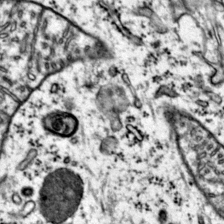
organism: Mouse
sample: Primary visual cortex